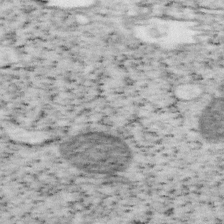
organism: Mouse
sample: OT-I killer T cells with ID8 ovarian cancer cells